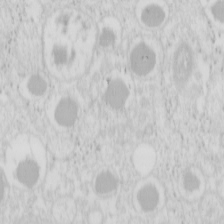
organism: Mouse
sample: Pancreas